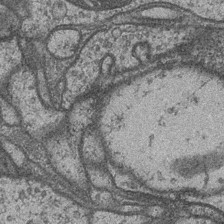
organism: Drosophila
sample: Optic medulla